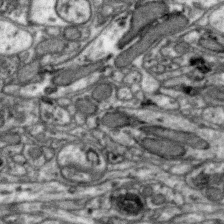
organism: Zebra finch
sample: Brain